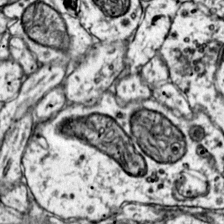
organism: Mouse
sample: Primary visual cortex